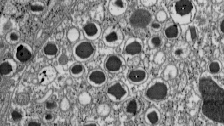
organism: C57BL Mouse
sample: Pancreatic islet